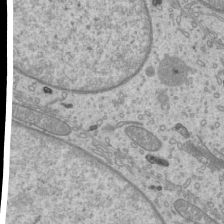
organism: Mouse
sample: Cilia; mouse epididymis